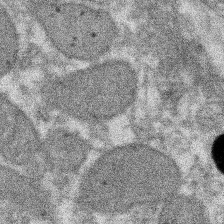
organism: Xenopus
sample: Cilia; centrioles in frog embryo cells